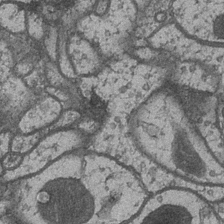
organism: Drosophila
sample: Optic medulla